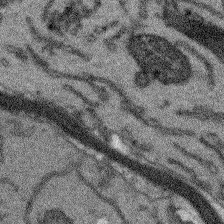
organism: Arabidopsis thaliana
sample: Root tip